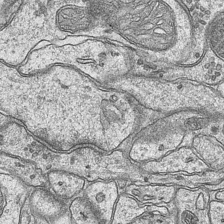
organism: Mouse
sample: CA1 Hippocampus